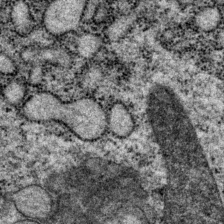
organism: P. pacificus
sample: Pharynx